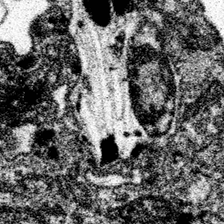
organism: Spongilla lacustris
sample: Neuroid cell